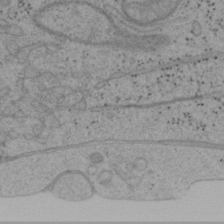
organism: Human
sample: HeLa cells